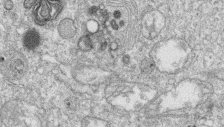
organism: Human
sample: HeLa cell HIV synapse